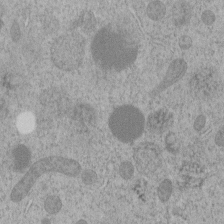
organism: C. elegans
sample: C. elegans embryo early stage